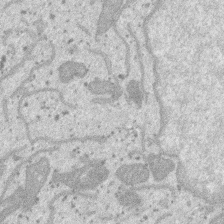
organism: Human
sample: Lung epithelial cells infected with SARS-CoV-2